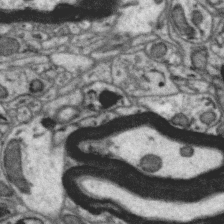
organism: Zebra finch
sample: Brain